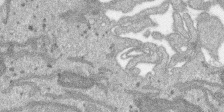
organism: Human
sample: Lung epithelial cells infected with SARS-CoV-2